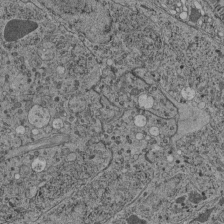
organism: C. elegans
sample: C. elegans pharynx